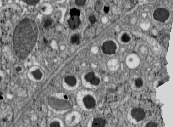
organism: C57BL Mouse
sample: Pancreatic islet